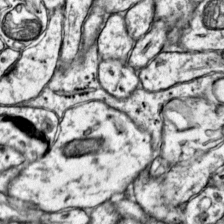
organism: Mouse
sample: Primary visual cortex